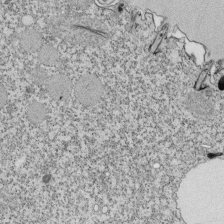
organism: Tetrahymena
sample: Cilia in tetrahymena